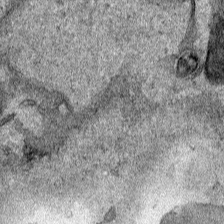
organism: Human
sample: Mitochondria in HCT116 cells